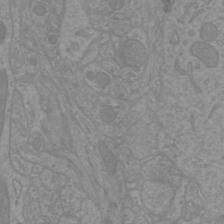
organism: Mouse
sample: Cortical neurons